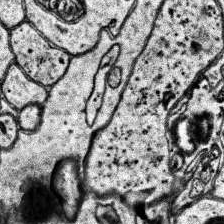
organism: Human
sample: Temporal Lobe